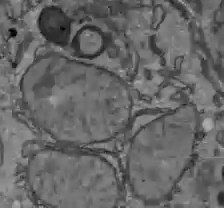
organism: C57BL Mouse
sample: Liver